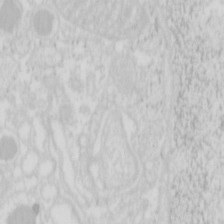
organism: Mouse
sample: Pancreas